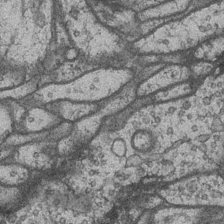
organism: Drosophila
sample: Optic medulla